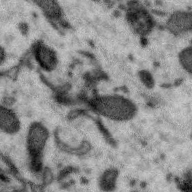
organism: Zebra finch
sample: Brain